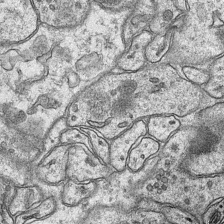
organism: Mouse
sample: CA1 Hippocampus